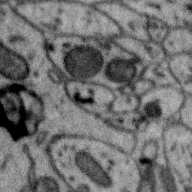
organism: Zebra finch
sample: Brain